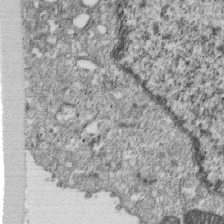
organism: African green monkey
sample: Vero E6 cells infected with SARS-CoV-2